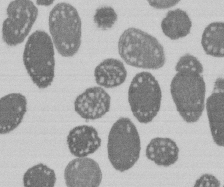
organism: E. coli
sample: Bacterial nucleoid